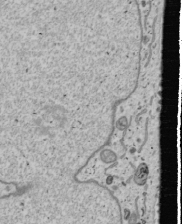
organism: Human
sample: Mitochondria in U2OS cells